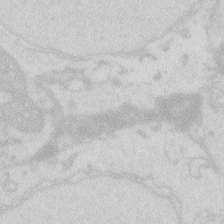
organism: Zebrafish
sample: Macrophage